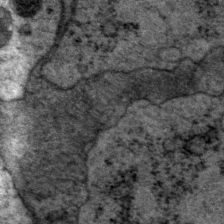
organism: P. pacificus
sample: Pharynx